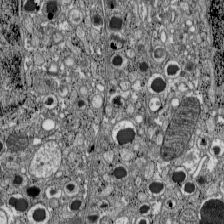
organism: C57BL Mouse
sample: Pancreatic islet